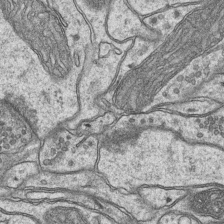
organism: Mouse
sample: CA1 Hippocampus